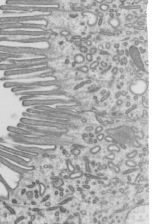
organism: Mouse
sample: Mouse epididymis efferent ductule cilia